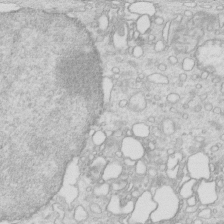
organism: Mouse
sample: Multiciliated cells